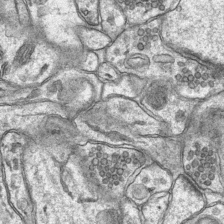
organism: Mouse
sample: CA1 Hippocampus